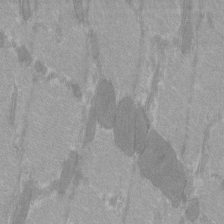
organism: C57BL Mouse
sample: Tibialis anterior muscle cell